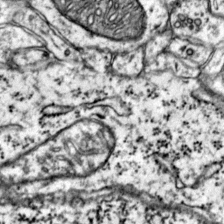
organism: Mouse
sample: Primary visual cortex